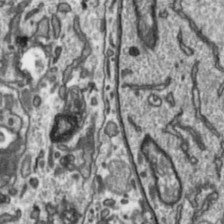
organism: Toxoplasma gondii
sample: Parasites in a vacuole inside a host cell